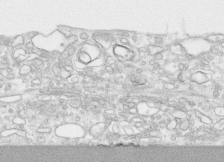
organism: Human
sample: CRL-1474